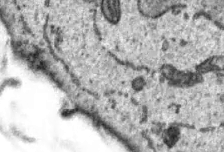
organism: Human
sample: HeLa cells